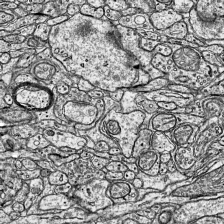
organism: Mouse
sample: Visual Cortex